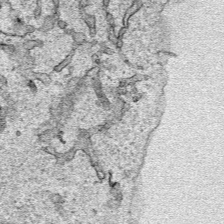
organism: Human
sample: Mitochondria in HCT116 cells